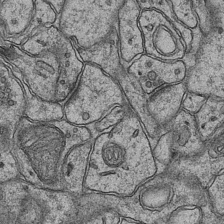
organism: Mouse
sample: CA1 Hippocampus